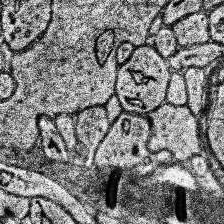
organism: Human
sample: Temporal Lobe